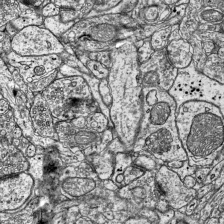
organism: Mouse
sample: Visual Cortex